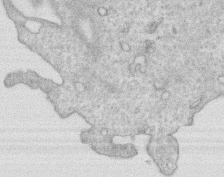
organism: Human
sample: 1205lu cells